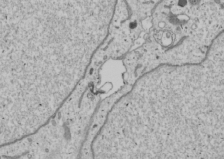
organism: Human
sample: Mitochondria in U2OS cells